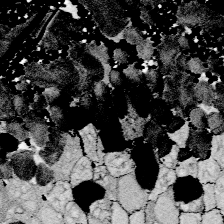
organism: Zebrafish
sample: Whole-Brain